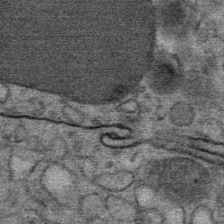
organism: Mouse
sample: Mouse Salivary gland